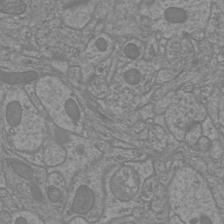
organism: Mouse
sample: Cortical neurons